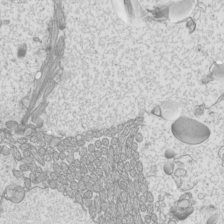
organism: Mouse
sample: Cilia; mouse epididymis